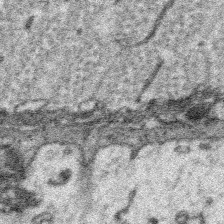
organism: Platynereis dumerilii